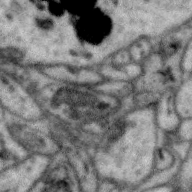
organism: Zebra finch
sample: Brain